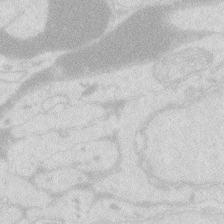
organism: Zebrafish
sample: Macrophage